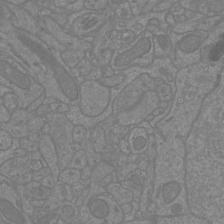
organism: Mouse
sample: Cortical neurons